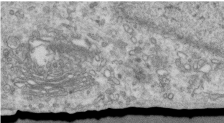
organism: Human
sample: Centriole in RPE cells